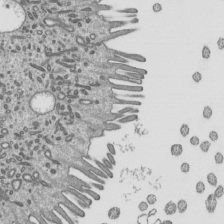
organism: Mouse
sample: Mouse epididymis efferent ductule cilia